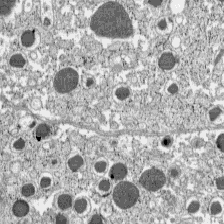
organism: C57BL Mouse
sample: Pancreatic islet